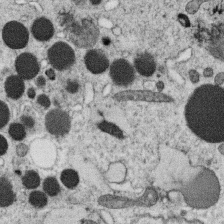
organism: C. elegans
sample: C. elegans oocyte; sperm cells